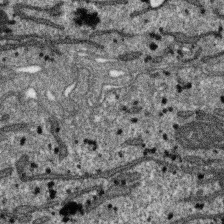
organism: Human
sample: Lung epithelial cells infected with SARS-CoV-2